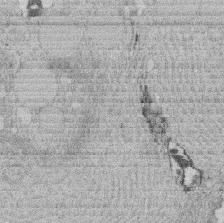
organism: Rat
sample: Salivary granule